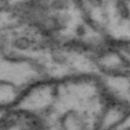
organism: Drosophila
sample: Brain